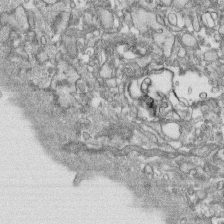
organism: Human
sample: CRL-1474